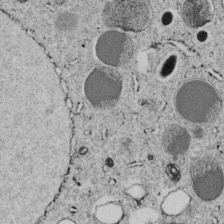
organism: C. elegans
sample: C. elegans embryo early stage